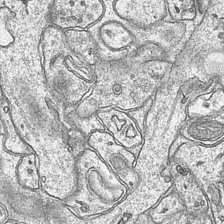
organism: Mouse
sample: CA1 Hippocampus